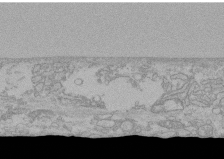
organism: Human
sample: CRL-1474